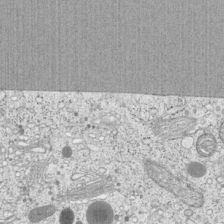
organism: African green monkey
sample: COS-7 cells